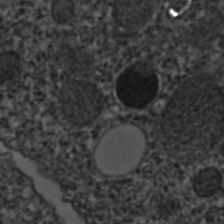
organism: C. elegans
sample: C. elegans embryo